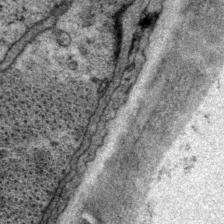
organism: P. pacificus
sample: Pharynx